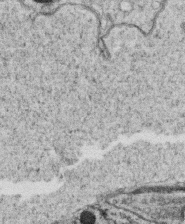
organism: C. elegans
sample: C. elegans oocyte; sperm cells